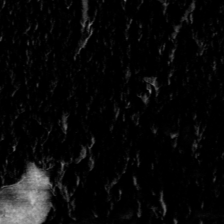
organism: Toxoplasma gondii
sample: Parasites in a vacuole inside a host cell